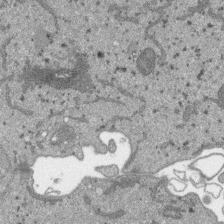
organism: Human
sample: Lung epithelial cells infected with SARS-CoV-2